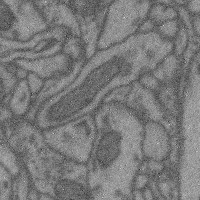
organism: Mouse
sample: Cerebral cortex